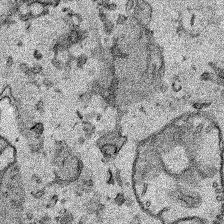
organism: Human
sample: Mitochondria in HCT116 cells